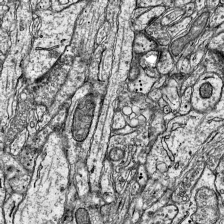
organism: Mouse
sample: Visual Cortex